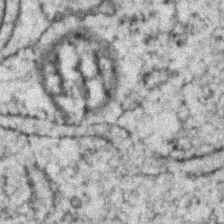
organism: Zebrafish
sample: Zebrafish embryo